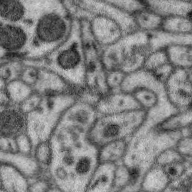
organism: Zebra finch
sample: Brain